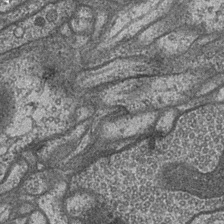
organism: Drosophila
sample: Optic medulla